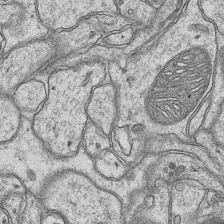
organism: Mouse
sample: CA1 Hippocampus